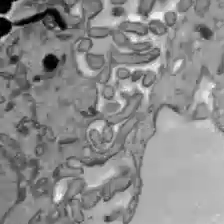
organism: C57BL Mouse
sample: Liver